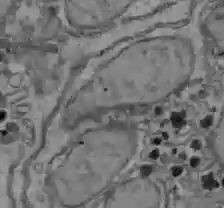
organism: C57BL Mouse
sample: Liver